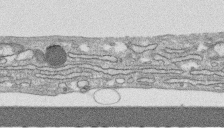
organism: Human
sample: CRL-1474